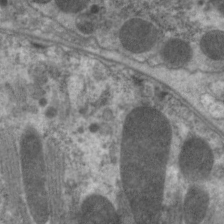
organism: C. elegans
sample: Pharynx